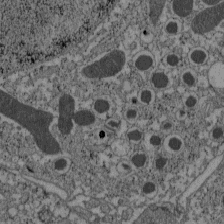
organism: C57BL Mouse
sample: Pancreatic islet